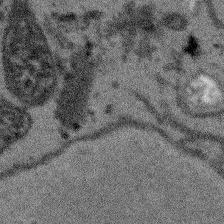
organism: Arabidopsis thaliana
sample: Root tip